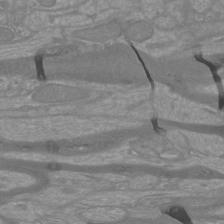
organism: Mouse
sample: Cortical neurons